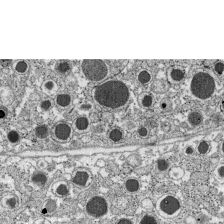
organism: C57BL Mouse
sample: Pancreatic islet